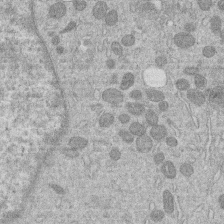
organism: Human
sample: Macrophage cells